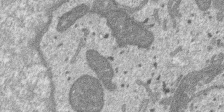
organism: Human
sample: Lung epithelial cells infected with SARS-CoV-2